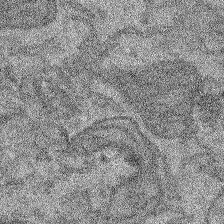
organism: Human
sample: HeLa cells